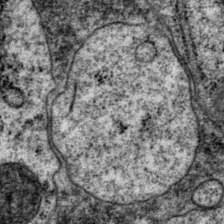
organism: P. pacificus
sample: Pharynx